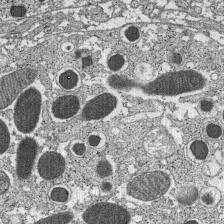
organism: C57BL Mouse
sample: Pancreatic islet